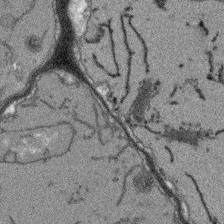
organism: Arabidopsis thaliana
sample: Root tip